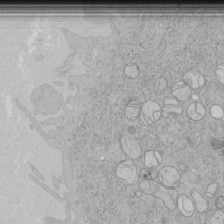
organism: Human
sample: Mitochondria in HCT116 cells